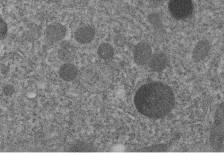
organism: C. elegans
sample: C. elegans embryo early stage